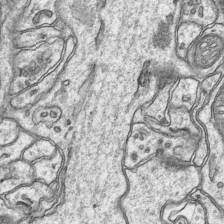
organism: Mouse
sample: CA1 Hippocampus